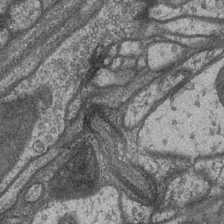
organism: Drosophila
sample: Optic medulla